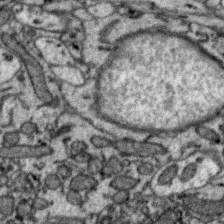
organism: Zebra finch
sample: Brain